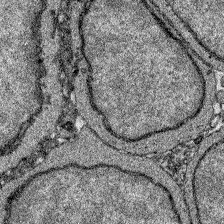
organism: Zebrafish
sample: Larval olfactory bulb